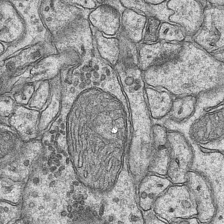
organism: Mouse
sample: CA1 Hippocampus